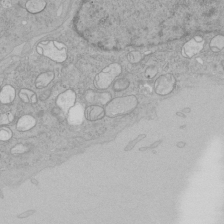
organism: Human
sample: Mitochondria in HCT116 cells